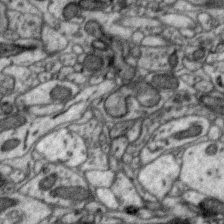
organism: Zebra finch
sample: Brain